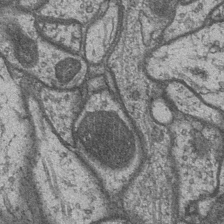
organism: Drosophila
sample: Optic medulla